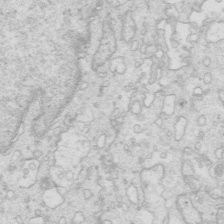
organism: Mouse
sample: Multiciliated cells